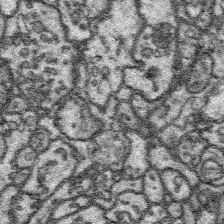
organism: Platynereis dumerilii